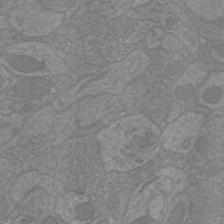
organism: Mouse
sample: Cortical neurons